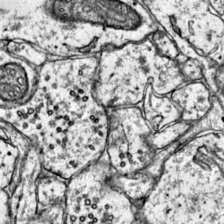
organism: Mouse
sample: Primary visual cortex